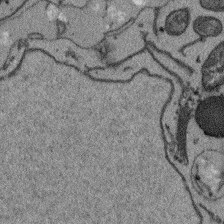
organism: Arabidopsis thaliana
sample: Root tip